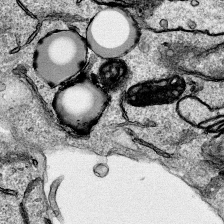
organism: Human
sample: Mitochondria in HCT116 cells